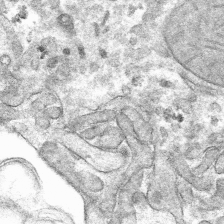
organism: Mouse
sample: Mouse hepatocytes